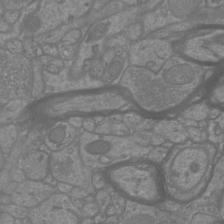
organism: Mouse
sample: Cortical neurons